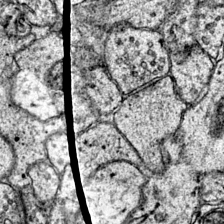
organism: Mouse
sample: Primary visual cortex